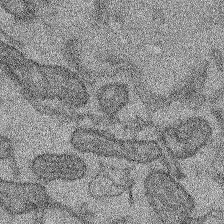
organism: Human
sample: HeLa cells